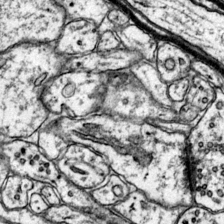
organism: Mouse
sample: Primary visual cortex